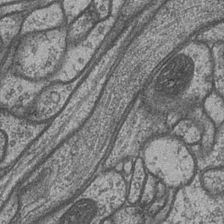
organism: Drosophila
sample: Optic medulla